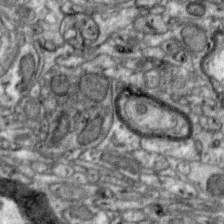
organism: Zebra finch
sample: Brain